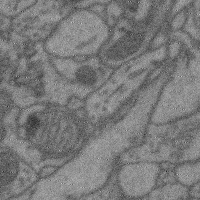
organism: Mouse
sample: Cerebral cortex